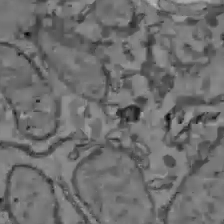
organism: C57BL Mouse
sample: Liver